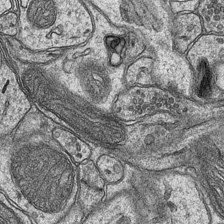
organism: Mouse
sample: CA1 Hippocampus